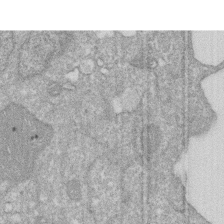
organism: Human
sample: HIV infected U937 cells